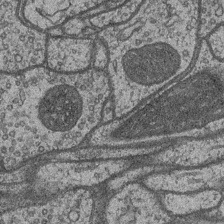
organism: Drosophila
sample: Optic medulla